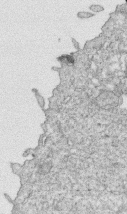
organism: Human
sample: HeLa cell HIV synapse